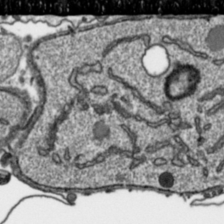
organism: Toxoplasma gondii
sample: Parasites in a vacuole inside a host cell